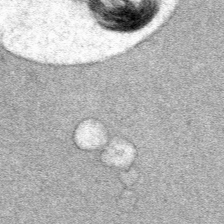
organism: Mouse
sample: Mouse Salivary gland